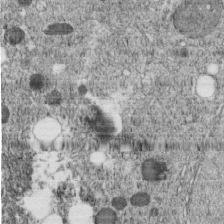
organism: C. elegans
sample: C. elegans embryo early stage